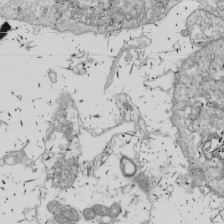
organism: Drosophila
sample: Cell division; meiosis; drosophila spermatocytes